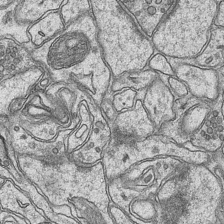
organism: Mouse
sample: CA1 Hippocampus